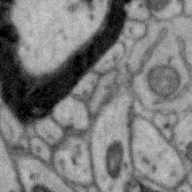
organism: Zebra finch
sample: Brain